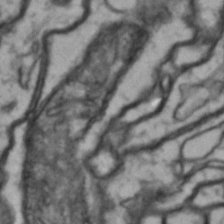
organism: Drosophila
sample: Brain